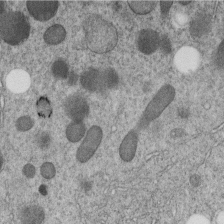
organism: C. elegans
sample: C. elegans embryo early stage